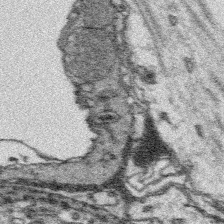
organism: Platynereis dumerilii